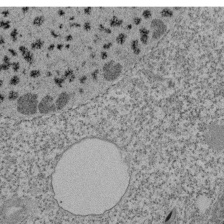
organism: Tetrahymena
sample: Cilia in tetrahymena